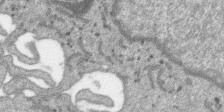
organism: Human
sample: Lung epithelial cells infected with SARS-CoV-2